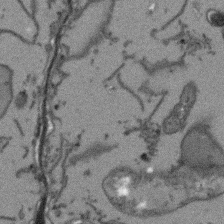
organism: Arabidopsis thaliana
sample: Root tip